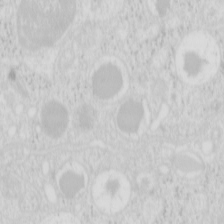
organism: Mouse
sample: Pancreas